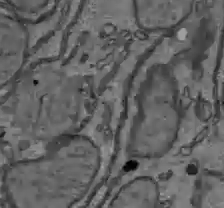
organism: C57BL Mouse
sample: Liver